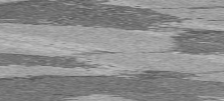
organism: C57BL Mouse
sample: Heart